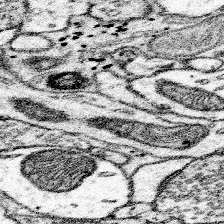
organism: Mouse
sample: Somatosensory cortex neuropil